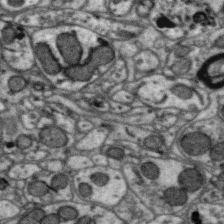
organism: Zebra finch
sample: Brain